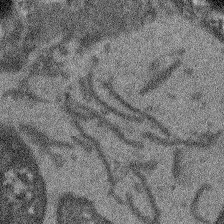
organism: Arabidopsis thaliana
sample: Root tip